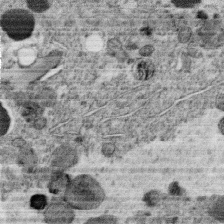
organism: C. elegans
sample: C. elegans oocyte; sperm cells